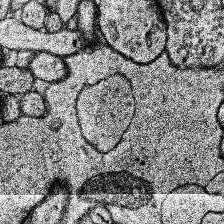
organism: Human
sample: Temporal Lobe